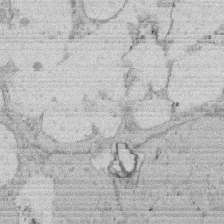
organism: Rat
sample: Salivary granule